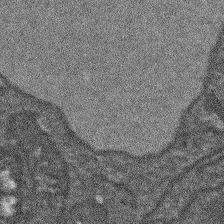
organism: Arabidopsis thaliana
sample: Root tip